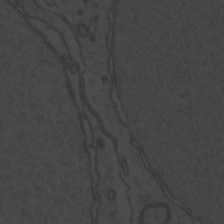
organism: Zebrafish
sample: Macrophage infected with Toxoplasma gondii